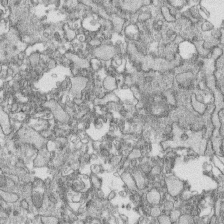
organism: Human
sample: CRL-1474